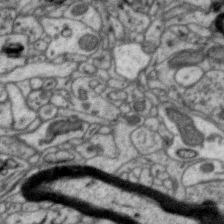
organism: Zebra finch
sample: Brain